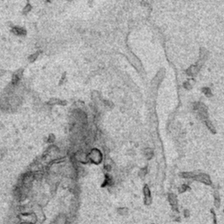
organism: Human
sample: Mitochondria in HCT116 cells